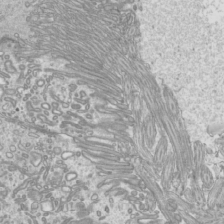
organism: Mouse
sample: Cilia; mouse epididymis